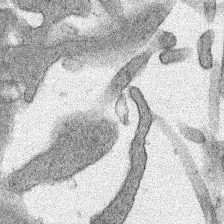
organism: Human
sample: Mitochondria in HCT116 cells